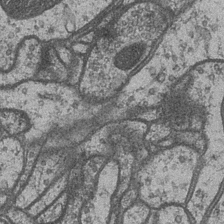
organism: Drosophila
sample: Optic medulla